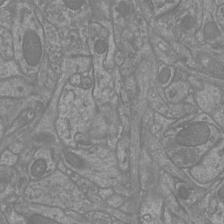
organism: Mouse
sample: Cortical neurons